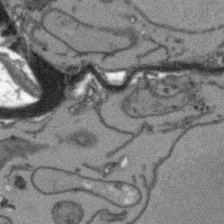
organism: Arabidopsis thaliana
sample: Root tip